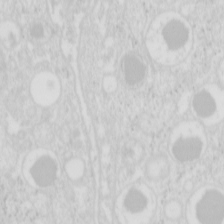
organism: Mouse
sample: Pancreas